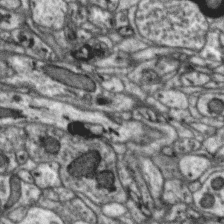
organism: Zebra finch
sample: Brain